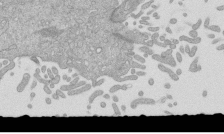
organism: Mouse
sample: ED-1 cell nuclei; centrioles